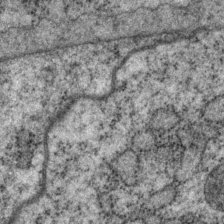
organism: P. pacificus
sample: Pharynx